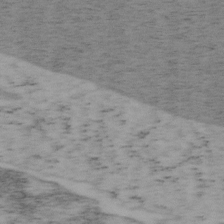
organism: Mouse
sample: OT-I killer T cells with ID8 ovarian cancer cells